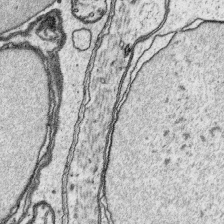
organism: Platynereis dumerilii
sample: Parapodia